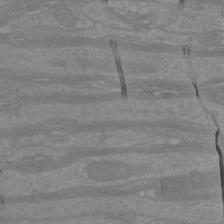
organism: Mouse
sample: Cortical neurons